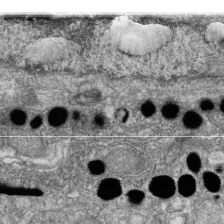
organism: Zebrafish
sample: Cilia; retinal pigment epithelium